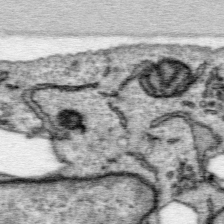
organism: Human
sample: HeLa cells